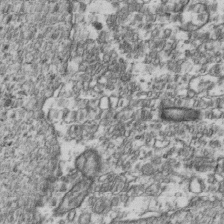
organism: Human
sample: Activated Jurkat CD4+ T cells